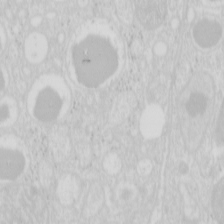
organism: Mouse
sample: Pancreas